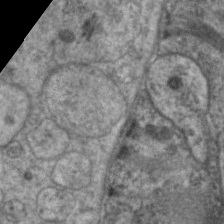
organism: C. elegans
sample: Pharynx